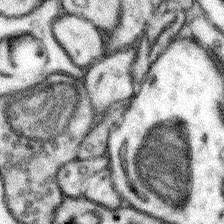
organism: Mouse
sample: Somatosensory cortex neuropil